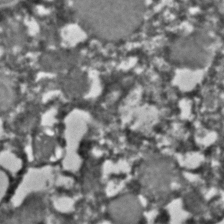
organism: C. elegans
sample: C. elegans embryo